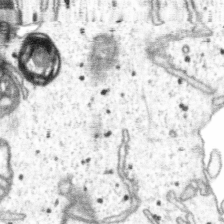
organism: Human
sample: HeLa cells